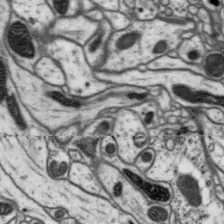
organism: Drosophila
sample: Protocerebral bridge